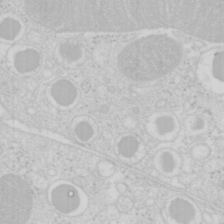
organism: Mouse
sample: Pancreas